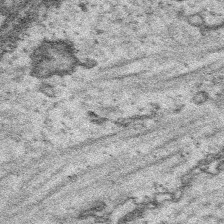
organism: Platynereis dumerilii